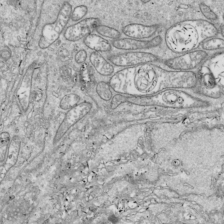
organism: Drosophila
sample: Cell division; meiosis; drosophila spermatocytes